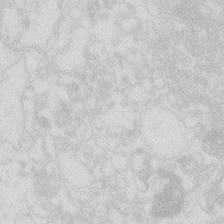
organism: Zebrafish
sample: Macrophage